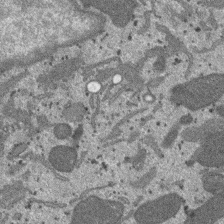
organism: Human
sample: Lung epithelial cells infected with SARS-CoV-2